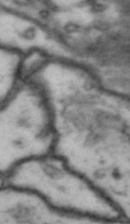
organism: Drosophila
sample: Brain